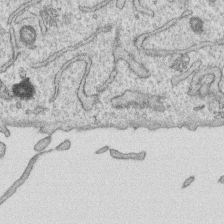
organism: Human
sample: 1205lu cells